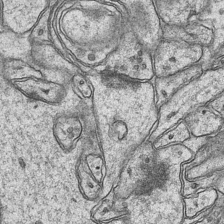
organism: Mouse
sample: CA1 Hippocampus